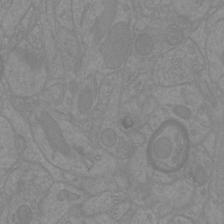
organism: Mouse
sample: Cortical neurons